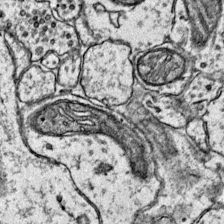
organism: Mouse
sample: Primary visual cortex